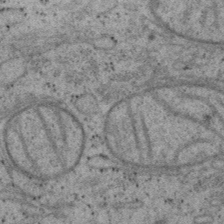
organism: Human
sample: HeLa cells